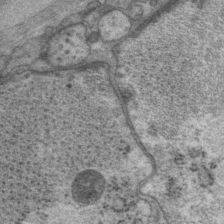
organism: P. pacificus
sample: Pharynx